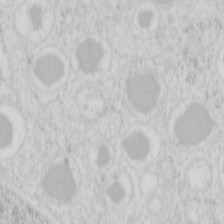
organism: Mouse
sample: Pancreas